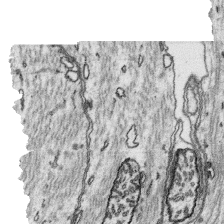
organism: Platynereis dumerilii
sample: Parapodia